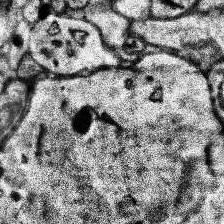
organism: Human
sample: Temporal Lobe